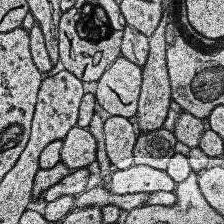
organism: Human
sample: Temporal Lobe